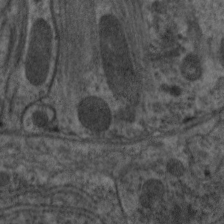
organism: C. elegans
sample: Pharynx